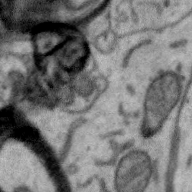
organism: Zebra finch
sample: Brain